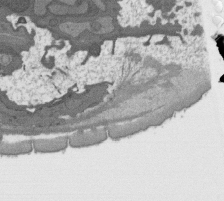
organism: C. elegans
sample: AFD neurons C. elegans